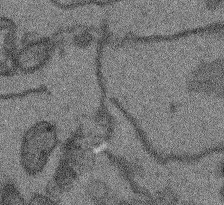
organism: Arabidopsis thaliana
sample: Root tip